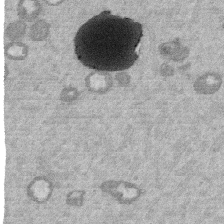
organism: Mouse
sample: Dividing mouse embryo 1 cell stage